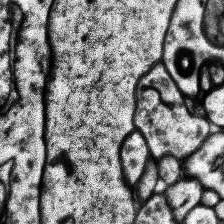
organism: Human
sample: Temporal Lobe